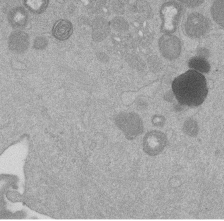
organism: Mouse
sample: Dividing mouse embryo 1 cell stage